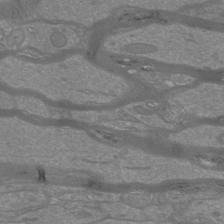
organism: Mouse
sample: Cortical neurons